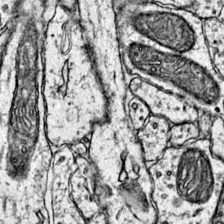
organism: Mouse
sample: Primary visual cortex